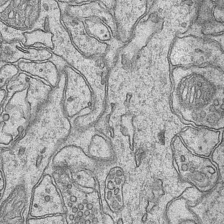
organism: Mouse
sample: CA1 Hippocampus